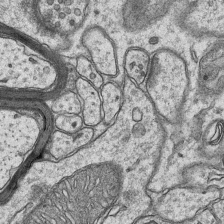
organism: Mouse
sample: CA1 Hippocampus